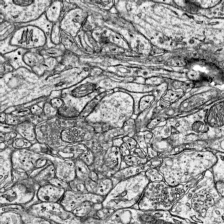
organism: Mouse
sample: Visual Cortex